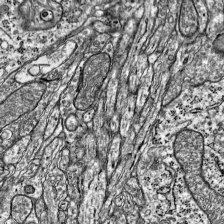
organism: Mouse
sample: Visual Cortex